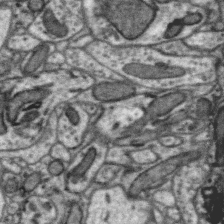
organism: Zebra finch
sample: Brain